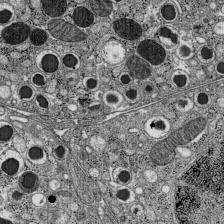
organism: C57BL Mouse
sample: Pancreatic islet